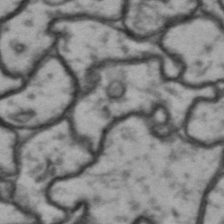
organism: Drosophila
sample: Brain